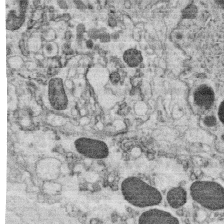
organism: C. elegans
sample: C. elegans oocyte; sperm cells